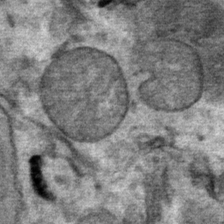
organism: Mouse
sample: Mouse Salivary gland